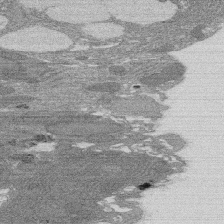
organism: Rat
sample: Salivary granule